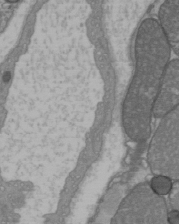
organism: C57BL Mouse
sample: Heart